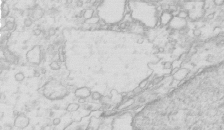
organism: Mouse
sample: Multiciliated cells